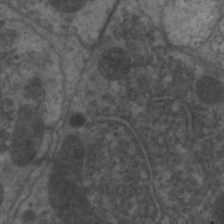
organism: C. elegans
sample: Pharynx